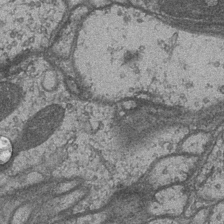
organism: Drosophila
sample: Optic medulla